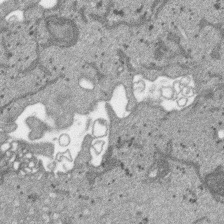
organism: Human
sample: Lung epithelial cells infected with SARS-CoV-2